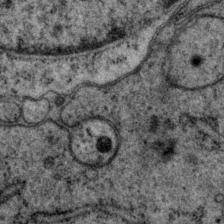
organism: P. pacificus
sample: Pharynx